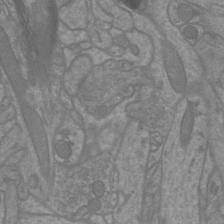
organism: Mouse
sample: Cortical neurons